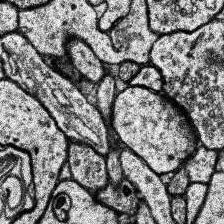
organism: Human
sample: Temporal Lobe